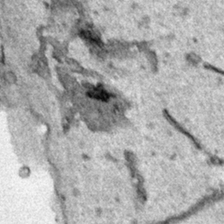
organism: Human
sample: Mitochondria in HCT116 cells